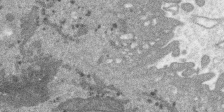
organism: Human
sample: Lung epithelial cells infected with SARS-CoV-2